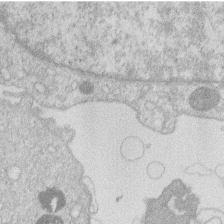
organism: Human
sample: Macrophage cells